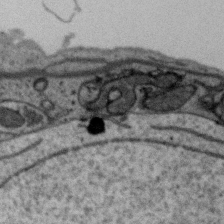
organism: Zebra finch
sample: Brain